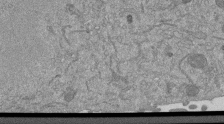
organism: Mouse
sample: ED-1 cell nuclei; centrioles